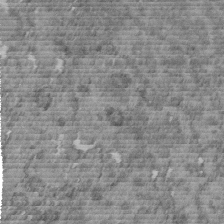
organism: C. elegans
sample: C. elegans embryo early stage